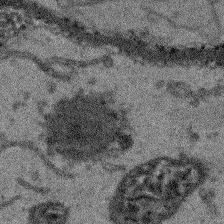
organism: Arabidopsis thaliana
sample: Root tip